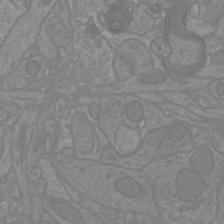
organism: Mouse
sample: Cortical neurons